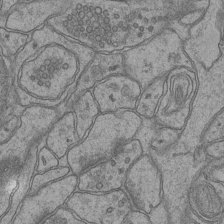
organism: Mouse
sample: CA1 Hippocampus